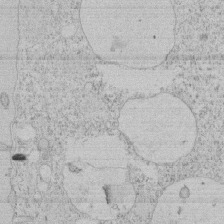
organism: Tetrahymena